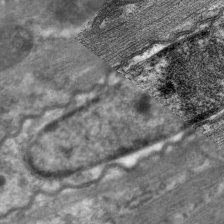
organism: C. elegans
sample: Pharynx